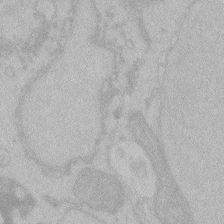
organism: Zebrafish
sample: Macrophage infected with Toxoplasma gondii